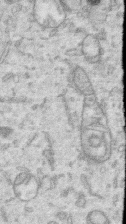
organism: Human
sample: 1205lu cells